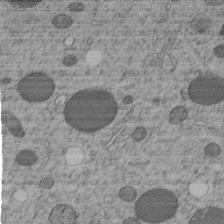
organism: C. elegans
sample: C. elegans embryo early stage